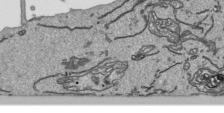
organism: Human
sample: Mitochondria in HCT116 cells